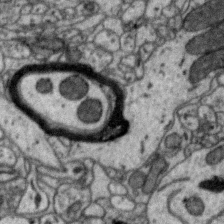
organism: Zebra finch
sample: Brain